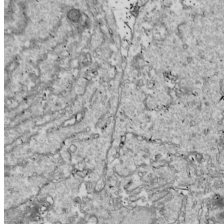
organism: Drosophila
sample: Cell division; meiosis; drosophila spermatocytes